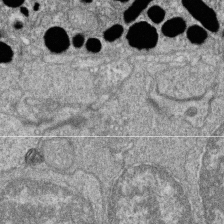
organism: Zebrafish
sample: Cilia; retinal pigment epithelium